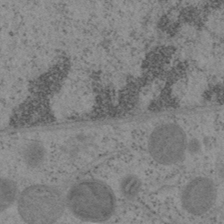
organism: Mouse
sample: OT-I killer T cells with ID8 ovarian cancer cells